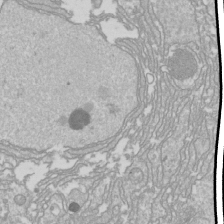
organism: Drosophila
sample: Cell division; meiosis; drosophila spermatocytes